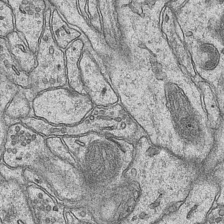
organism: Mouse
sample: CA1 Hippocampus